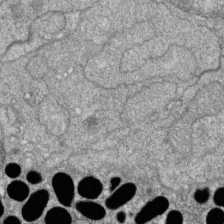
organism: Zebrafish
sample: Cilia; retinal pigment epithelium